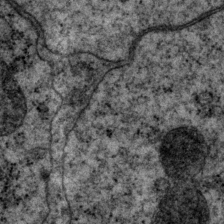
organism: P. pacificus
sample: Pharynx